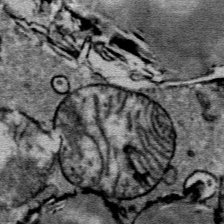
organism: Mouse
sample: Mouse Salivary gland